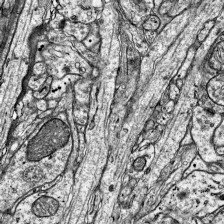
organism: Mouse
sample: Visual Cortex